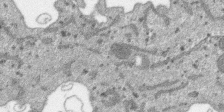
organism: Human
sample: Lung epithelial cells infected with SARS-CoV-2